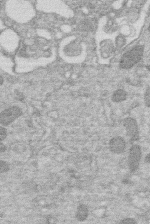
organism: Human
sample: Macrophage cells